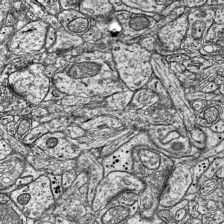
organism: Mouse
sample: Visual Cortex